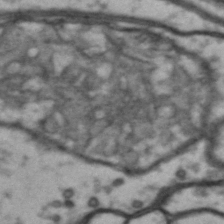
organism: Drosophila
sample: Brain